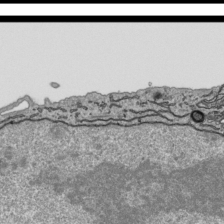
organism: Human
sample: Mitochondria in HCT116 cells